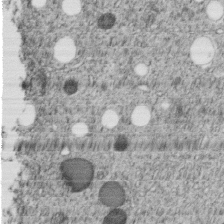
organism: C. elegans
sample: C. elegans embryo early stage